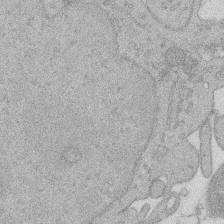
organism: Rat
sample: Salivary granule